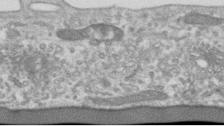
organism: Human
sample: Centriole in RPE cells